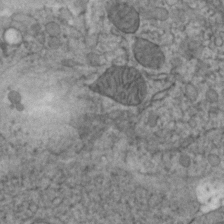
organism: Zebrafish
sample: Zebrafish embryo